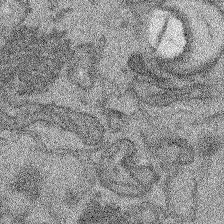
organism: Human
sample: HeLa cells